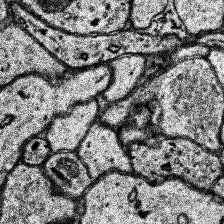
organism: Human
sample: Temporal Lobe